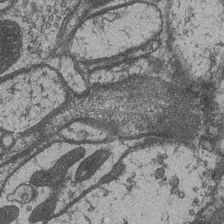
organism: Drosophila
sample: Optic medulla